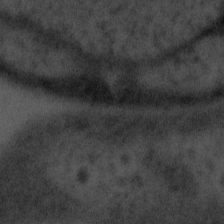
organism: Tuwongella immobilis